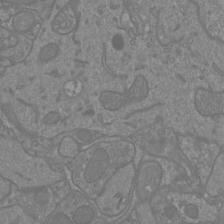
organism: Mouse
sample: Cortical neurons